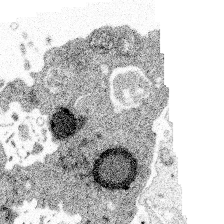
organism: Spongilla lacustris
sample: Multiple